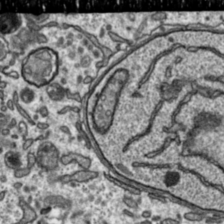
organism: Toxoplasma gondii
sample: Parasites in a vacuole inside a host cell